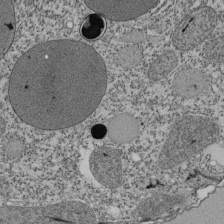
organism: Tetrahymena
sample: Cilia in tetrahymena